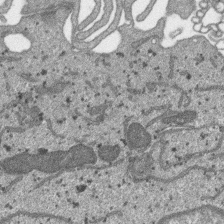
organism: Human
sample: Lung epithelial cells infected with SARS-CoV-2